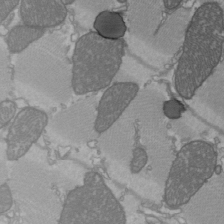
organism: C57BL Mouse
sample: Heart